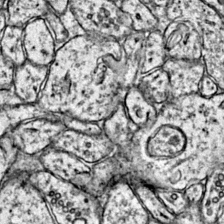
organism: Mouse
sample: Primary visual cortex